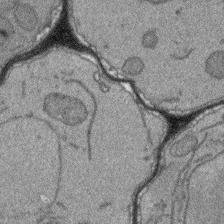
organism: Arabidopsis thaliana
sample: Root tip